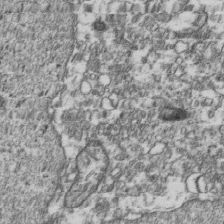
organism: Human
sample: Activated Jurkat CD4+ T cells